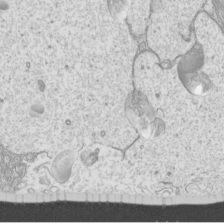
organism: Mouse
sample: Cilia; mouse epididymis